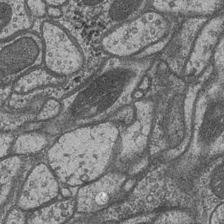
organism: Drosophila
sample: Optic medulla